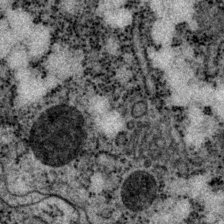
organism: P. pacificus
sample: Pharynx